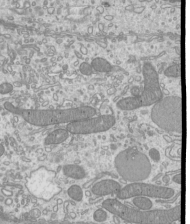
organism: Mouse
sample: Cilia; mouse epididymis